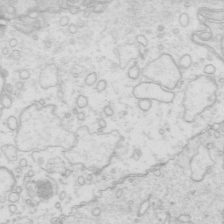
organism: Mouse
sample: Multiciliated cells